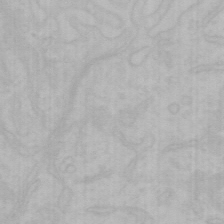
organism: Mouse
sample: Choroid plexus